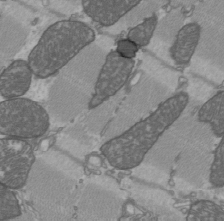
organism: C57BL Mouse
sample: Heart